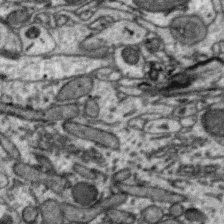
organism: Zebra finch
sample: Brain